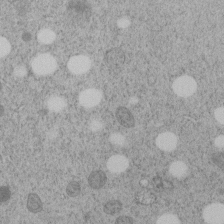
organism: C. elegans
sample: C. elegans embryo early stage